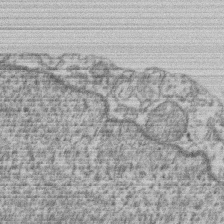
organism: Mouse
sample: T cell stromal cell synapse